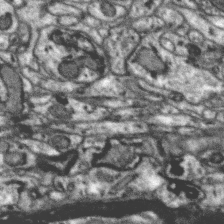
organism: Zebra finch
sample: Brain